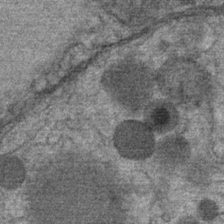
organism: Mouse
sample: Mouse Salivary gland